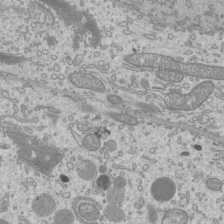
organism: Mouse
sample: Cilia; mouse epididymis